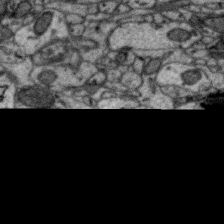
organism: Zebra finch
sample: Brain